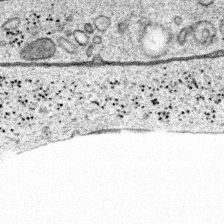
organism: Human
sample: HeLa cells